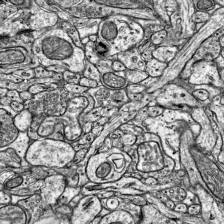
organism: Mouse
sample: Visual Cortex